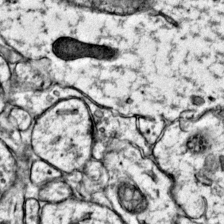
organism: Mouse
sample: Primary visual cortex